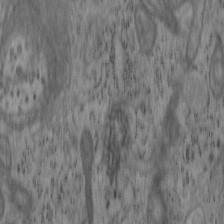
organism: Human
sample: HeLa cells